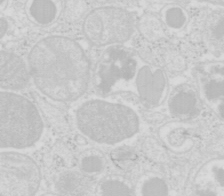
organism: Mouse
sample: Pancreas